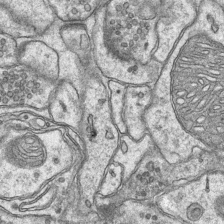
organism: Mouse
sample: CA1 Hippocampus